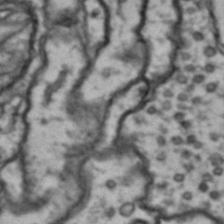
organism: Drosophila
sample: Brain